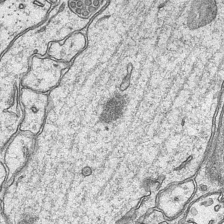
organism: Mouse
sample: CA1 Hippocampus